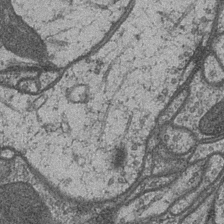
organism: Drosophila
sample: Optic medulla